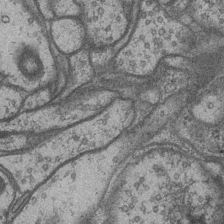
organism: Drosophila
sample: Optic medulla